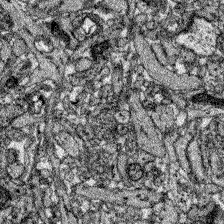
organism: Zebrafish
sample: Larval olfactory bulb